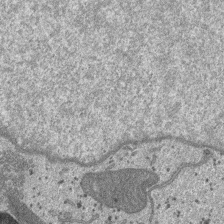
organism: Human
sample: Lung epithelial cells infected with SARS-CoV-2